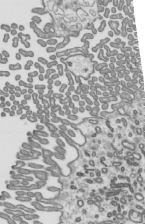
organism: Mouse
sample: Mouse epididymis efferent ductule cilia